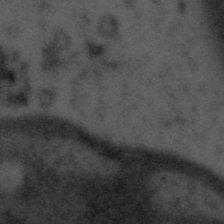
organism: Tuwongella immobilis